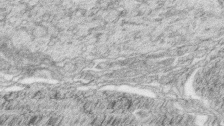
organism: Zebrafish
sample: synaptic ribbons in rod cells and cone cells